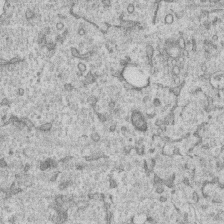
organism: Human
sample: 1205lu cells